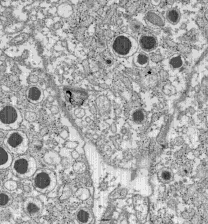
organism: C57BL Mouse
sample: Pancreatic islet